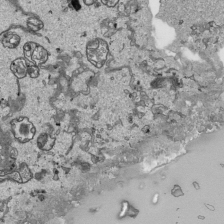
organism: Human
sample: Mitochondria in HCT116 cells